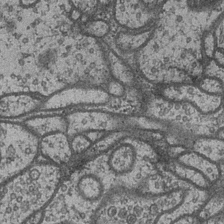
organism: Drosophila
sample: Optic medulla